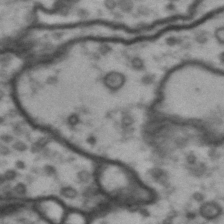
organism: Drosophila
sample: Brain